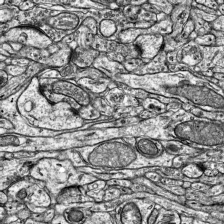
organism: Mouse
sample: Visual Cortex